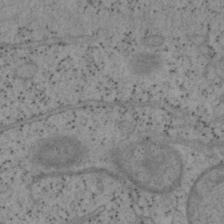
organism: Human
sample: HeLa cells